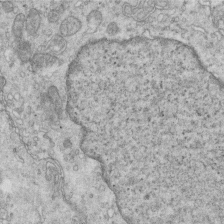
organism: Mouse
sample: Multiciliated cells